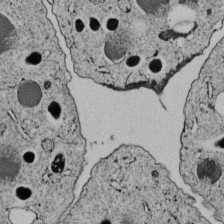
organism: C. elegans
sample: C. elegans embryo early stage